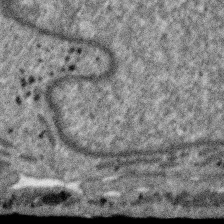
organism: Human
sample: Lung epithelial cells infected with SARS-CoV-2